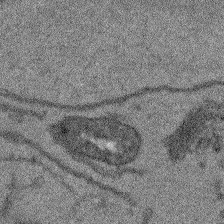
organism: Arabidopsis thaliana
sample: Root tip